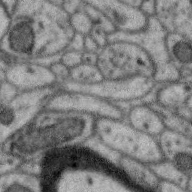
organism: Zebra finch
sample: Brain